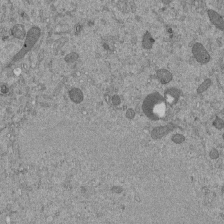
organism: Mouse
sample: ED-1 cell nuclei; centrioles